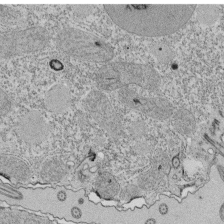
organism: Tetrahymena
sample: Cilia in tetrahymena